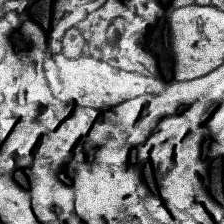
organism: Human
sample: Temporal Lobe